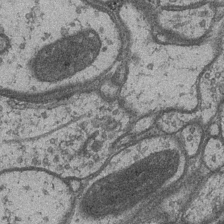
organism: Drosophila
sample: Optic medulla